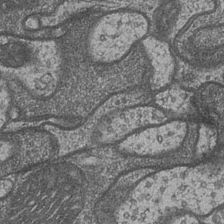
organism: Drosophila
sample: Optic medulla